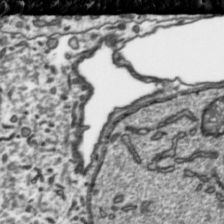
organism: Toxoplasma gondii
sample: Parasites in a vacuole inside a host cell